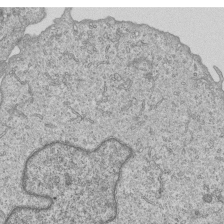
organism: Human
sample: MDA-MB-231 cells